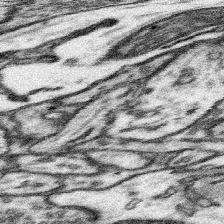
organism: Mouse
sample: Somatosensory cortex neuropil